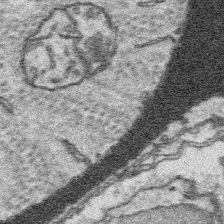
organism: Platynereis dumerilii